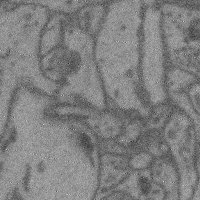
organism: Mouse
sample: Cerebral cortex